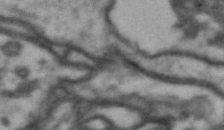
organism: Drosophila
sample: Brain